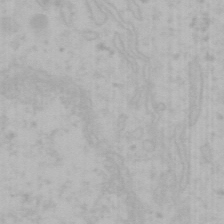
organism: Mouse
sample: Choroid plexus